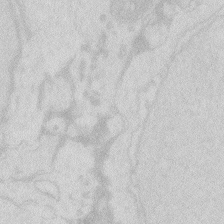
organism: Zebrafish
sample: Macrophage